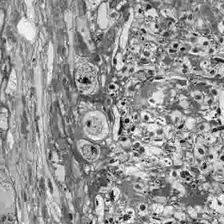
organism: Drosophila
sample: Optic lobe